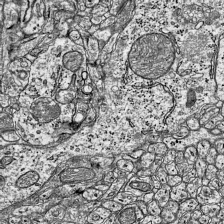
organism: Mouse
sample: Visual Cortex